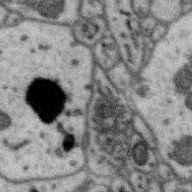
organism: Zebra finch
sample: Brain